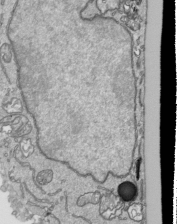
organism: Human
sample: Mitochondria in HCT116 cells